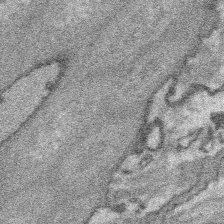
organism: Platynereis dumerilii